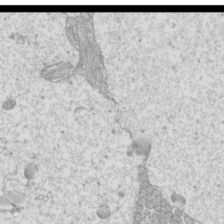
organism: Mouse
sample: Cilia; mouse epididymis